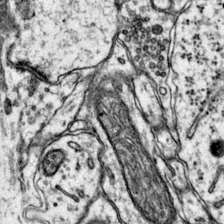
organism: Mouse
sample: Primary visual cortex